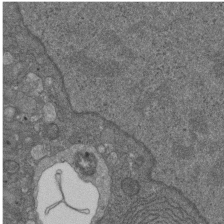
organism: Drosophila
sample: Nephrocyte